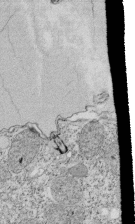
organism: Tetrahymena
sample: Cilia in tetrahymena